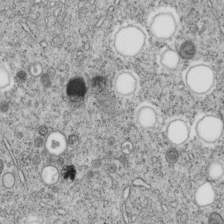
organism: C. elegans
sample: C. elegans embryo early stage